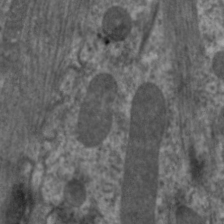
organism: C. elegans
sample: Pharynx